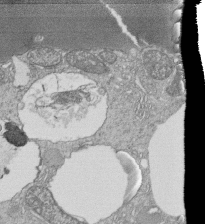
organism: Tetrahymena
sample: Cilia in tetrahymena